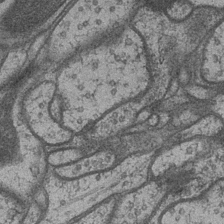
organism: Drosophila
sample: Optic medulla